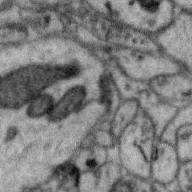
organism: Zebra finch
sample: Brain